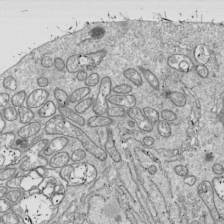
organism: Drosophila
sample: Cell division; meiosis; drosophila spermatocytes